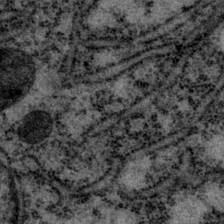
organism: P. pacificus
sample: Pharynx